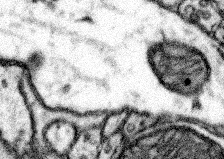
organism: Mouse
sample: Somatosensory cortex neuropil